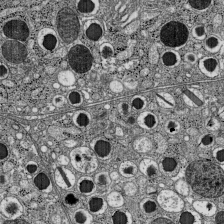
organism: C57BL Mouse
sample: Pancreatic islet